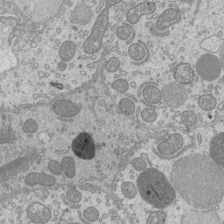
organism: Mouse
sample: Cilia; mouse epididymis